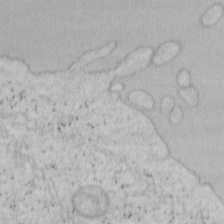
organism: Human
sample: HeLa cells